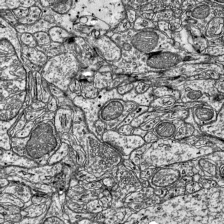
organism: Mouse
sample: Visual Cortex